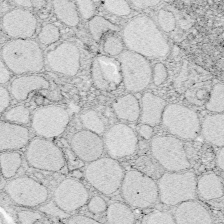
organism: Zebrafish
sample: Whole-Brain